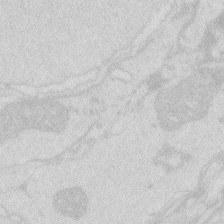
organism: Zebrafish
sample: Macrophage